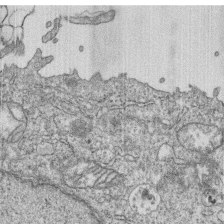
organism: Human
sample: HeLa cell HIV synapse